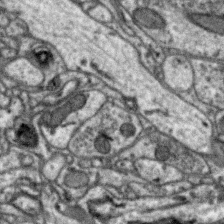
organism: Zebra finch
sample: Brain